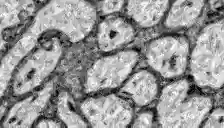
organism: Zebrafish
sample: Brain